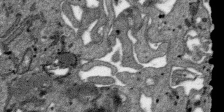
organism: Human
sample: Lung epithelial cells, uninfected (mock) control